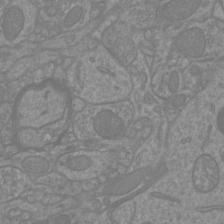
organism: Mouse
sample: Cortical neurons